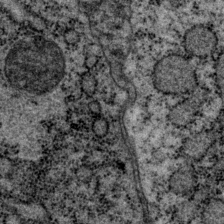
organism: P. pacificus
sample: Pharynx